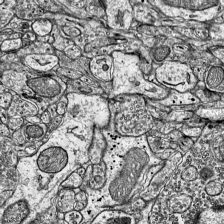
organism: Mouse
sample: Visual Cortex